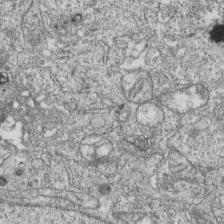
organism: Human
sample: HeLa cell HIV synapse